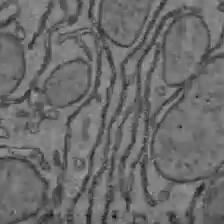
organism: C57BL Mouse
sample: Liver